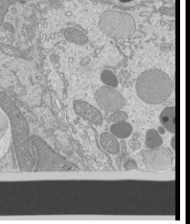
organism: Mouse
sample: Cilia; mouse epididymis